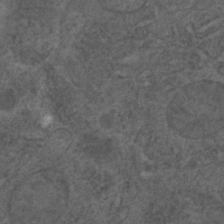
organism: C. elegans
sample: C. elegans embryo